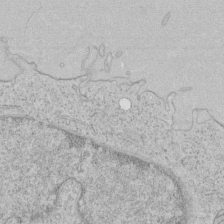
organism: Human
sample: Mitochondria in HCT116 cells